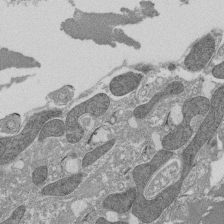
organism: Tetrahymena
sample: Cilia in tetrahymena